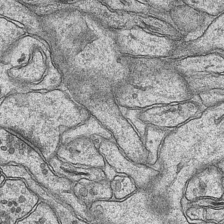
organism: Mouse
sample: CA1 Hippocampus